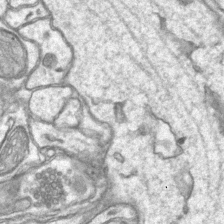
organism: Mouse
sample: CA1 Hippocampus